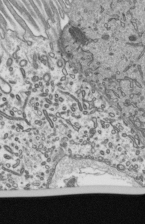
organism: Mouse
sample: Mouse epididymis efferent ductule cilia